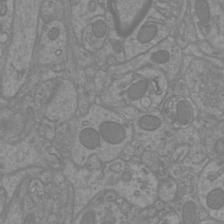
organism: Mouse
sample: Cortical neurons